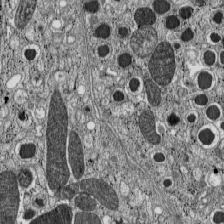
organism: C57BL Mouse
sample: Pancreatic islet